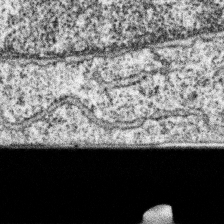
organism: Human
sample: HeLa cells